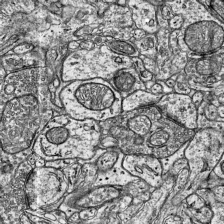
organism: Mouse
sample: Visual Cortex